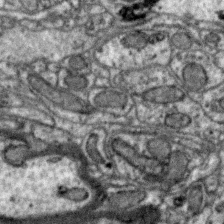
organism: Zebra finch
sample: Brain